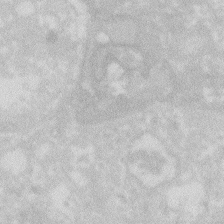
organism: Zebrafish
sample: Macrophage